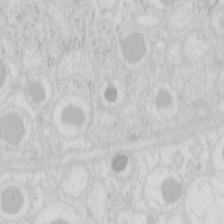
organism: Mouse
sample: Pancreas